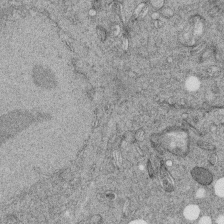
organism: C. elegans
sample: C. elegans embryo early stage